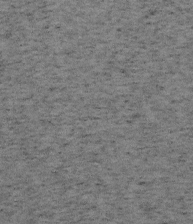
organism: Mouse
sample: OT-I killer T cells with ID8 ovarian cancer cells